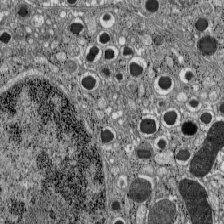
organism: C57BL Mouse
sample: Pancreatic islet